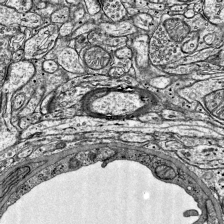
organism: Mouse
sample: Visual Cortex